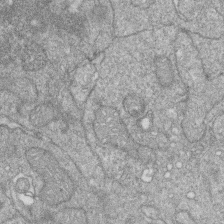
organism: Zebrafish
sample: Cilia; retinal pigment epithelium